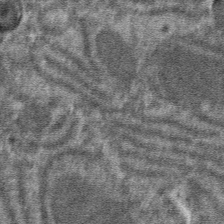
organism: Mouse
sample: Mouse hepatocytes